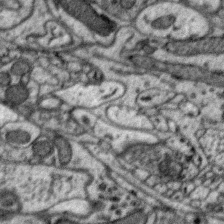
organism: Zebra finch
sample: Brain